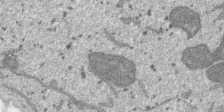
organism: Human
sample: Lung epithelial cells infected with SARS-CoV-2